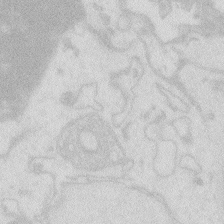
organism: Zebrafish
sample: Macrophage